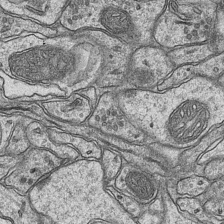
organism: Mouse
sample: CA1 Hippocampus